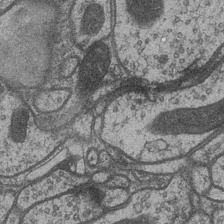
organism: Drosophila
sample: Optic medulla